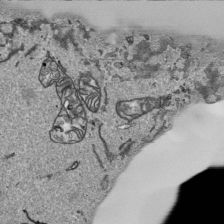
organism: Human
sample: Mitochondria in HCT116 cells